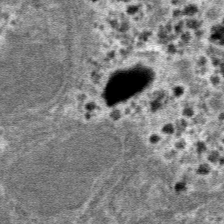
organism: Mouse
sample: Mouse hepatocytes